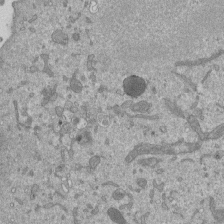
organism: Mouse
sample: ED-1 cell nuclei; centrioles